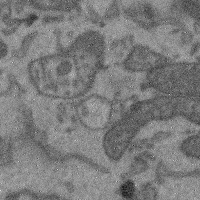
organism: Mouse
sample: Cerebral cortex